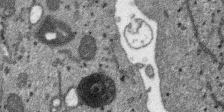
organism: Human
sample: Lung epithelial cells infected with SARS-CoV-2